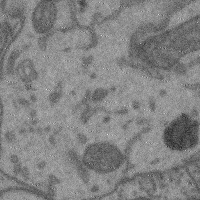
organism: Mouse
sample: Cerebral cortex